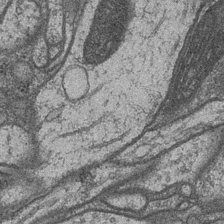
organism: Drosophila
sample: Optic medulla